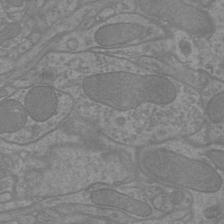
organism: Mouse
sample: Cortical neurons